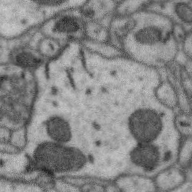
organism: Zebra finch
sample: Brain